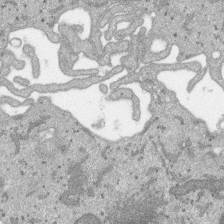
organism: Human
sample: Lung epithelial cells infected with SARS-CoV-2